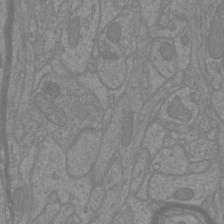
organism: Mouse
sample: Cortical neurons